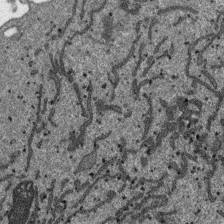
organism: Human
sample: Lung epithelial cells infected with SARS-CoV-2